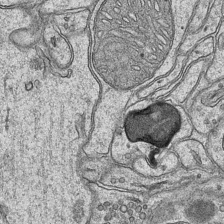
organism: Mouse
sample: CA1 Hippocampus